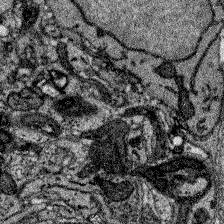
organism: Zebrafish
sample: Larval olfactory bulb